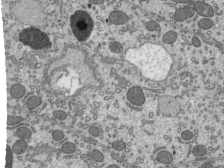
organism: Mouse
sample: Mouse epididymis efferent ductule cilia